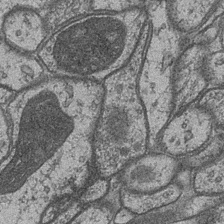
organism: Drosophila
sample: Optic medulla